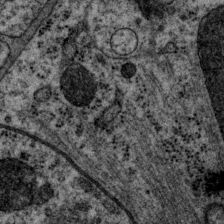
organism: P. pacificus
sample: Pharynx